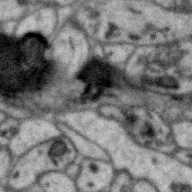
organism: Zebra finch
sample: Brain